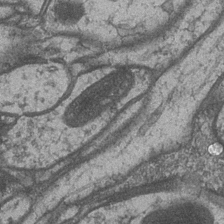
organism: Drosophila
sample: Optic medulla